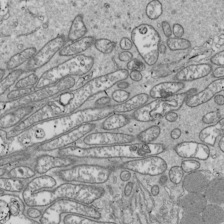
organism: Drosophila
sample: Cell division; meiosis; drosophila spermatocytes